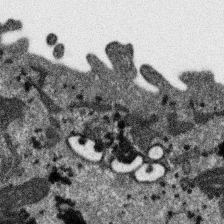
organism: Human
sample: Lung epithelial cells infected with SARS-CoV-2